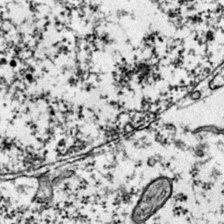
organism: Mouse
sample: Primary visual cortex